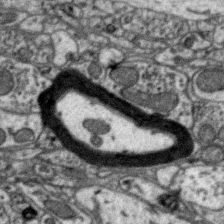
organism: Zebra finch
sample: Brain